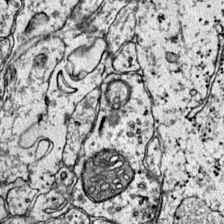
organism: Mouse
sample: Primary visual cortex